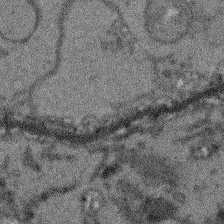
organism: Arabidopsis thaliana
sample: Root tip